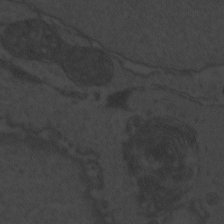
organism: Zebrafish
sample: Macrophage infected with Toxoplasma gondii